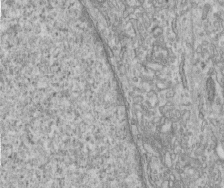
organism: Human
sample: Centriole in fibroblast cells